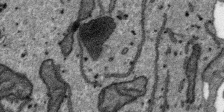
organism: Human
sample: Lung epithelial cells, uninfected (mock) control